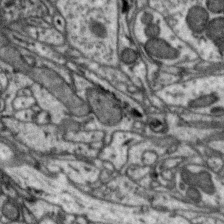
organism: Zebra finch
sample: Brain